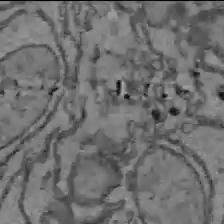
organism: C57BL Mouse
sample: Liver